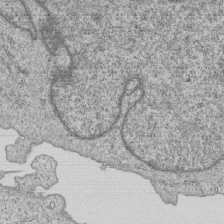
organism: Human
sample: MDA-MB-231 cells